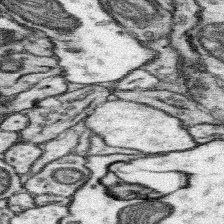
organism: Mouse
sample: Somatosensory cortex neuropil